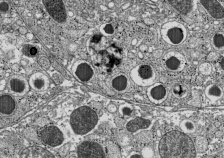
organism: C57BL Mouse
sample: Pancreatic islet